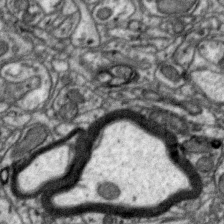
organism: Zebra finch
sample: Brain